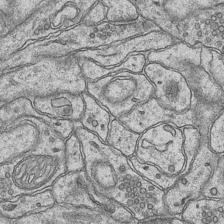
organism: Mouse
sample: CA1 Hippocampus